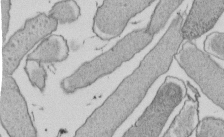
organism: E. coli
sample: Bacterial nucleoid